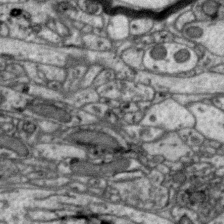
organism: Zebra finch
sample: Brain